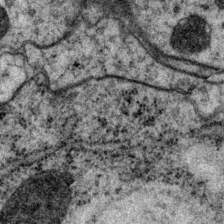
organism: P. pacificus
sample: Pharynx